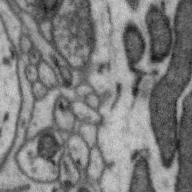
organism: Zebra finch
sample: Brain